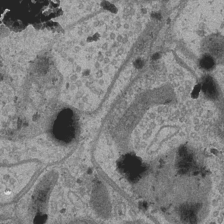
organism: Drosophila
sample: Optic medulla